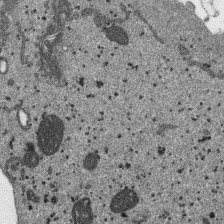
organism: Human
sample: Lung epithelial cells infected with SARS-CoV-2